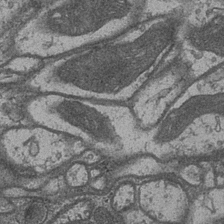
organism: Drosophila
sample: Optic medulla